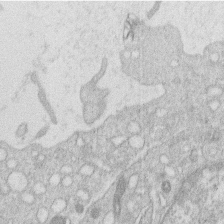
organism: Human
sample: Macrophage cells